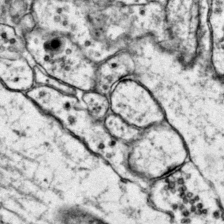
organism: Mouse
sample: Primary visual cortex